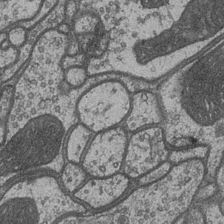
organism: Drosophila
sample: Optic medulla